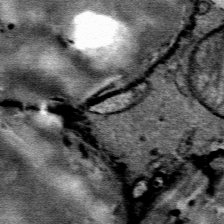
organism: Mouse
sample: Mouse Salivary gland